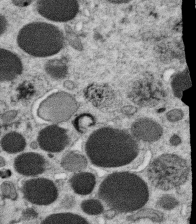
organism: C. elegans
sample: C. elegans oocyte; sperm cells